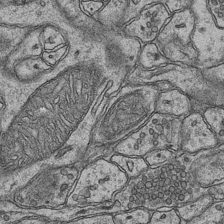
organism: Mouse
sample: CA1 Hippocampus